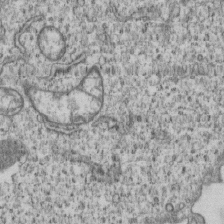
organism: Human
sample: MDA-MB-231 cells